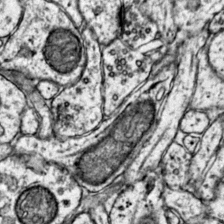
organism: Mouse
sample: Primary visual cortex